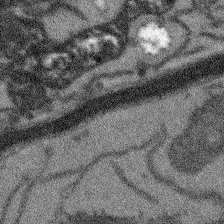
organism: Arabidopsis thaliana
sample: Root tip